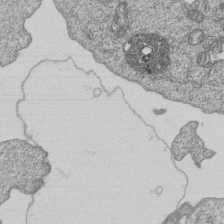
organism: Human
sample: MDA-MB-231 cells